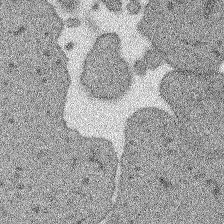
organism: Human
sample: HeLa cells